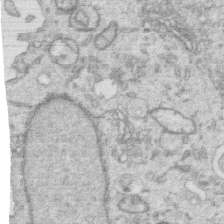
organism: Human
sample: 1205lu cells